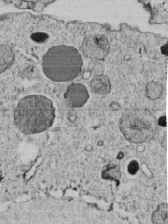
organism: C. elegans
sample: C. elegans embryo early stage